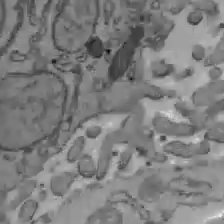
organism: C57BL Mouse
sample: Liver